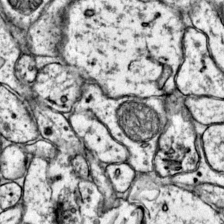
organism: Mouse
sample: Primary visual cortex